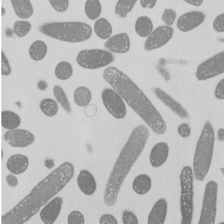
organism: E. coli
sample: Bacterial nucleoid